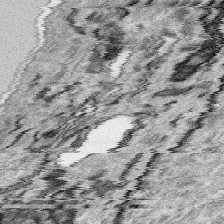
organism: Human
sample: HeLa cells